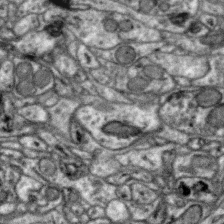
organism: Zebra finch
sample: Brain